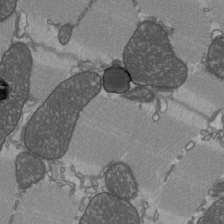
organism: C57BL Mouse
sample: Heart